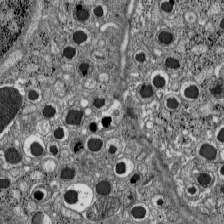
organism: C57BL Mouse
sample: Pancreatic islet